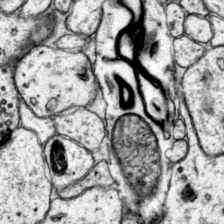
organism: Mouse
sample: Primary visual cortex